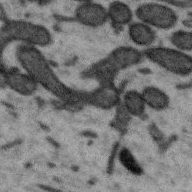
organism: Zebra finch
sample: Brain